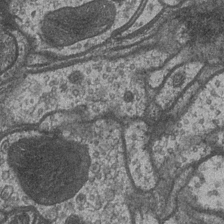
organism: Drosophila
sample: Optic medulla